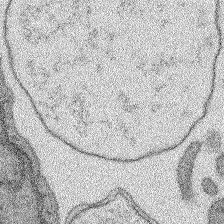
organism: Human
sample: HeLa cells